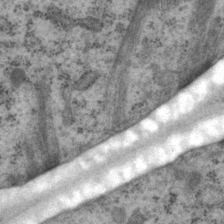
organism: P. pacificus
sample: Pharynx